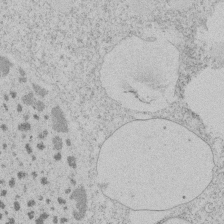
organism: Tetrahymena